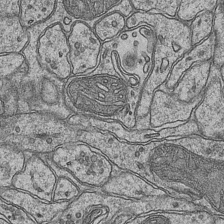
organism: Mouse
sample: CA1 Hippocampus